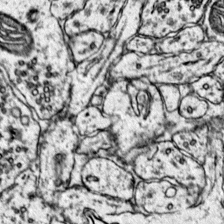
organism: Mouse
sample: Primary visual cortex